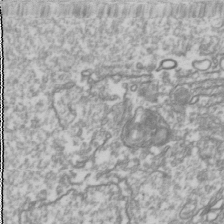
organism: Drosophila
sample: Cell division; meiosis; drosophila spermatocytes